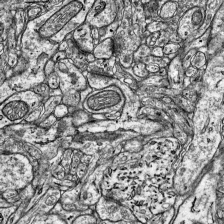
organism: Mouse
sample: Visual Cortex